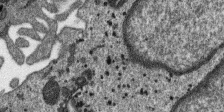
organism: Human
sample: Lung epithelial cells infected with SARS-CoV-2